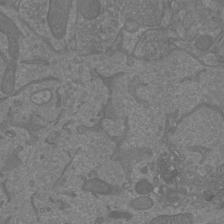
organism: Mouse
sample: Cortical neurons